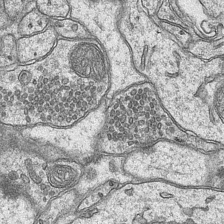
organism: Mouse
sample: CA1 Hippocampus